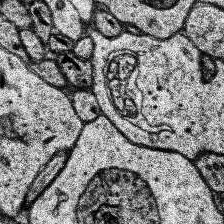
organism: Human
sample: Temporal Lobe